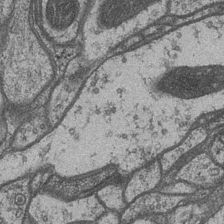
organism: Drosophila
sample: Optic medulla